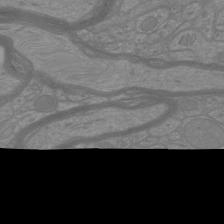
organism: Mouse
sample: Cortical neurons